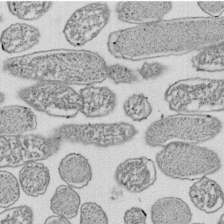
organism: E. coli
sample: Bacterial nucleoid